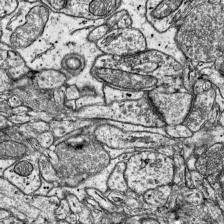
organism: Mouse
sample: Visual Cortex